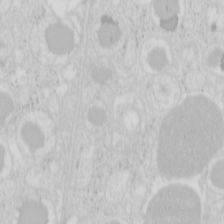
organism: Mouse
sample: Pancreas